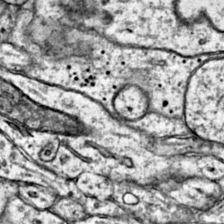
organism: Mouse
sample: Primary visual cortex